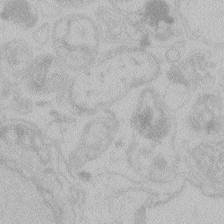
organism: Zebrafish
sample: Macrophage infected with Toxoplasma gondii